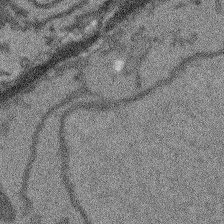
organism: Arabidopsis thaliana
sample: Root tip